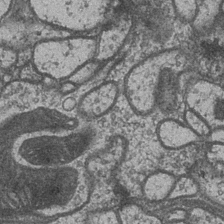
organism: Drosophila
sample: Optic medulla